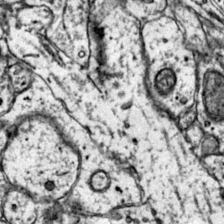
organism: Mouse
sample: Primary visual cortex